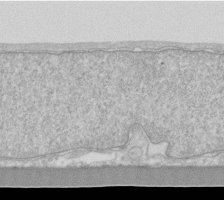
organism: Human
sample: Fibroblast cells